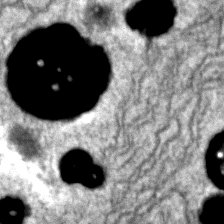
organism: Zebrafish